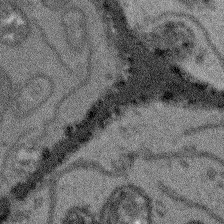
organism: Arabidopsis thaliana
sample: Root tip